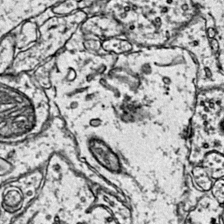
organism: Mouse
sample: Primary visual cortex